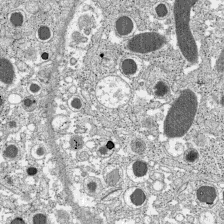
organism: C57BL Mouse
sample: Pancreatic islet